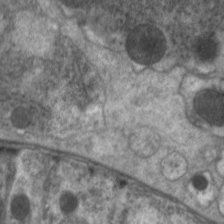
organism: C. elegans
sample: Pharynx